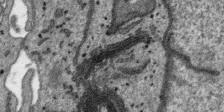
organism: Human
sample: Lung epithelial cells, uninfected (mock) control